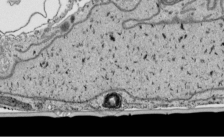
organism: Human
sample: Mitochondria in HCT116 cells